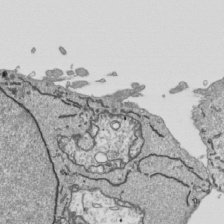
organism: Human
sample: Mitochondria in HCT116 cells